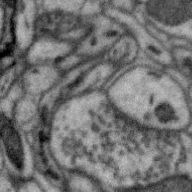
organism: Zebra finch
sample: Brain